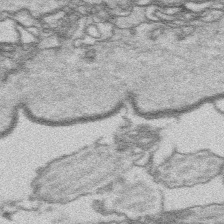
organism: Platynereis dumerilii